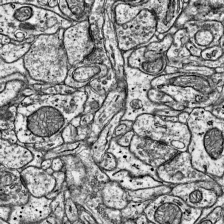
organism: Mouse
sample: Visual Cortex